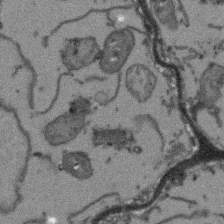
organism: Arabidopsis thaliana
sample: Root tip